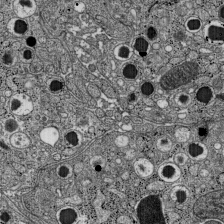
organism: C57BL Mouse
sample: Pancreatic islet